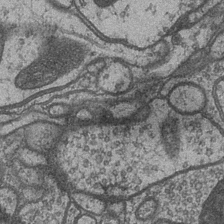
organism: Drosophila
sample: Optic medulla